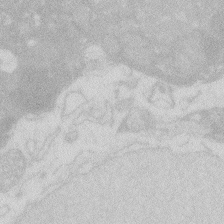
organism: Zebrafish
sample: Macrophage